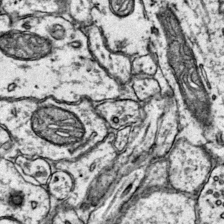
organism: Mouse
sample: Primary visual cortex